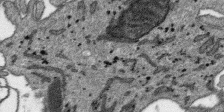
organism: Human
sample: Lung epithelial cells, uninfected (mock) control